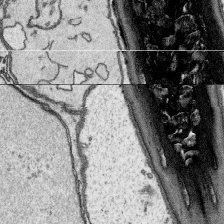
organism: Platynereis dumerilii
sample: Parapodia